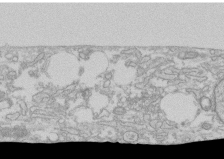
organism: Human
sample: CRL-1474